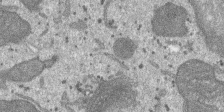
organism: Human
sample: Lung epithelial cells infected with SARS-CoV-2